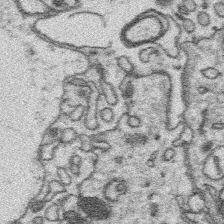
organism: Platynereis dumerilii